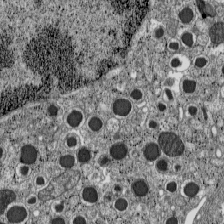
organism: C57BL Mouse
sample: Pancreatic islet